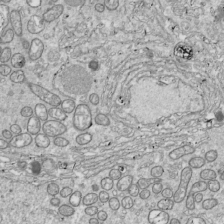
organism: Drosophila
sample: Cell division; meiosis; drosophila spermatocytes